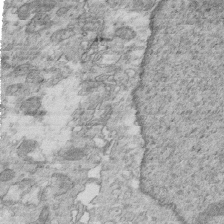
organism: Mouse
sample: Multiciliated cells